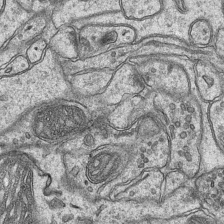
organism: Mouse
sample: CA1 Hippocampus